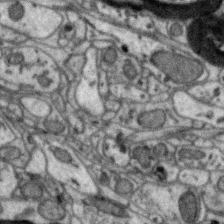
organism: Zebra finch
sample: Brain